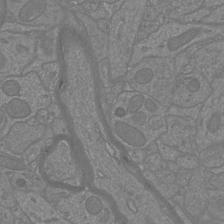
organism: Mouse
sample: Cortical neurons